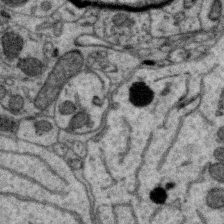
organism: Zebra finch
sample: Brain